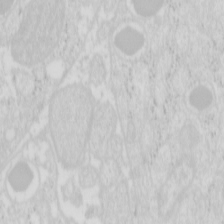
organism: Mouse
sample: Pancreas